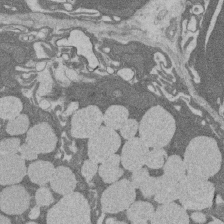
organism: Rat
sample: Salivary granule